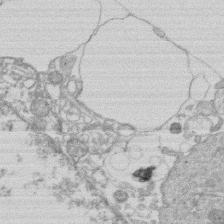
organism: Human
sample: Macrophage cells